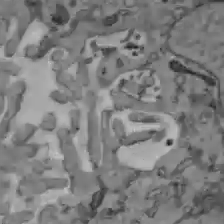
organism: C57BL Mouse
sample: Liver